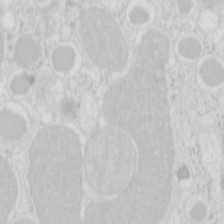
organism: Mouse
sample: Pancreas